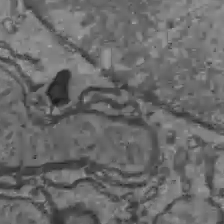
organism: C57BL Mouse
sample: Liver